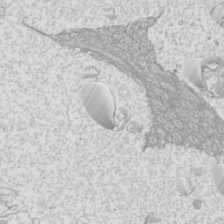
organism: Mouse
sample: Cilia; mouse epididymis